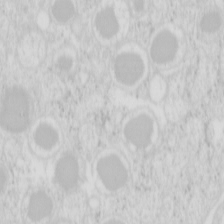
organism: Mouse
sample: Pancreas